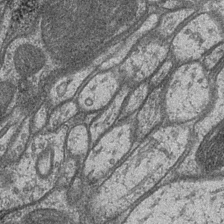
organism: Drosophila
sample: Optic medulla